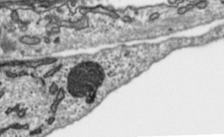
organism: Toxoplasma gondii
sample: Parasites in a vacuole inside a host cell